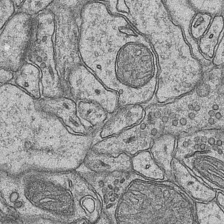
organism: Mouse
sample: CA1 Hippocampus